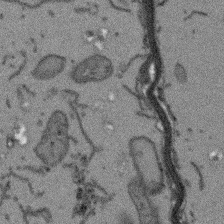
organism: Arabidopsis thaliana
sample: Root tip